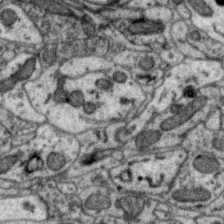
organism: Zebra finch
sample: Brain